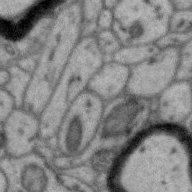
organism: Zebra finch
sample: Brain